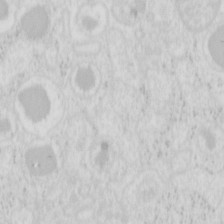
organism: Mouse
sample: Pancreas